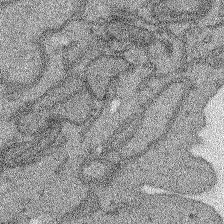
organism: Human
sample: HeLa cells